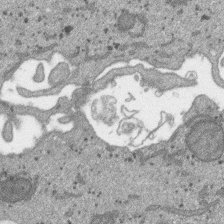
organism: Human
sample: Lung epithelial cells infected with SARS-CoV-2